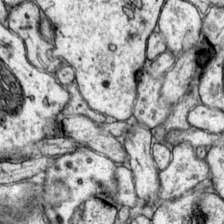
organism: Mouse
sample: Primary visual cortex